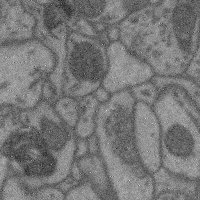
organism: Mouse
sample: Cerebral cortex